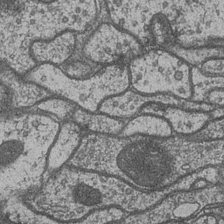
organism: Drosophila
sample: Optic medulla